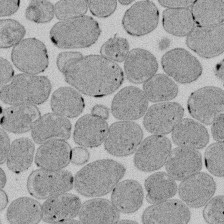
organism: E. coli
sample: Bacterial nucleoid